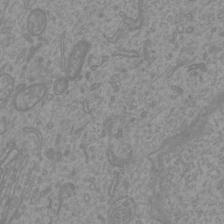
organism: Mouse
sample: Cortical neurons